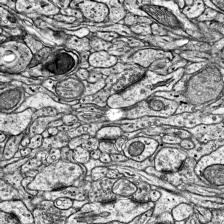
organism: Mouse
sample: Visual Cortex